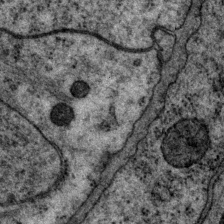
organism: P. pacificus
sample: Pharynx